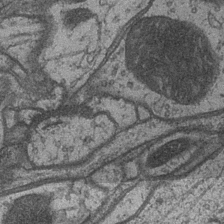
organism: Drosophila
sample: Optic medulla